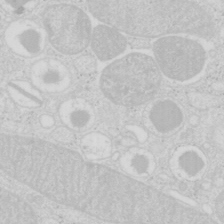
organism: Mouse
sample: Pancreas